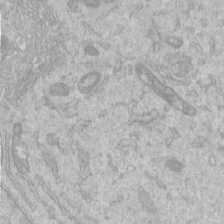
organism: Human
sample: Centriole in RPE cells